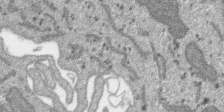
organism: Human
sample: Lung epithelial cells infected with SARS-CoV-2